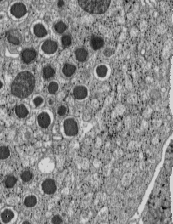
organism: C57BL Mouse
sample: Pancreatic islet